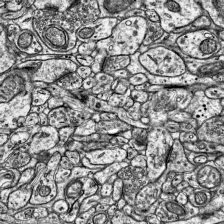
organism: Mouse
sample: Visual Cortex